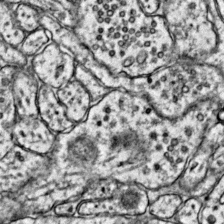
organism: Mouse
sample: Primary visual cortex